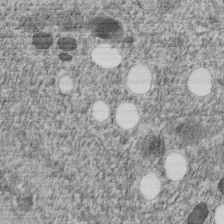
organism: C. elegans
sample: C. elegans embryo early stage